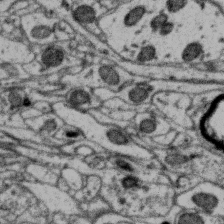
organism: Zebra finch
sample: Brain